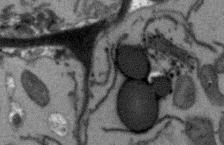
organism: Arabidopsis thaliana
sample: Root tip